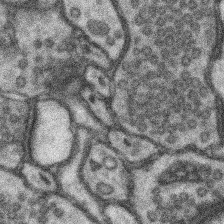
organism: Mouse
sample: Somatosensory cortex neuropil